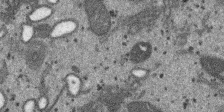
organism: Human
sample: Lung epithelial cells infected with SARS-CoV-2